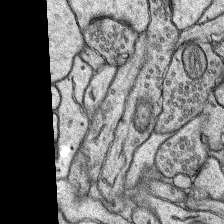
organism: Rat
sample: Hippocampus